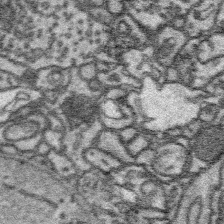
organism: Platynereis dumerilii